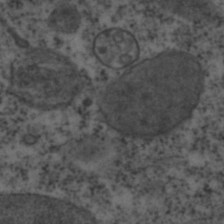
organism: C. elegans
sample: C. elegans embryo